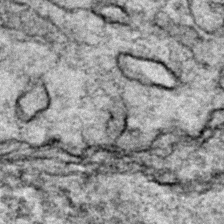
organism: Zebrafish